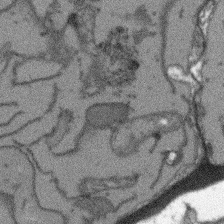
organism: Arabidopsis thaliana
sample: Root tip